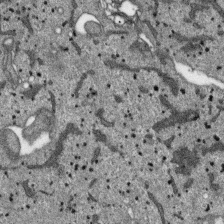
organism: Human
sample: Lung epithelial cells, uninfected (mock) control